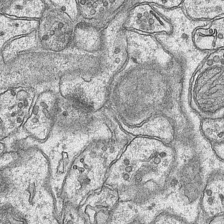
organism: Mouse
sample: CA1 Hippocampus